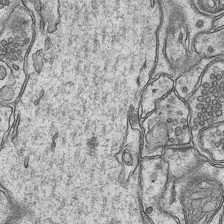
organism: Mouse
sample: CA1 Hippocampus